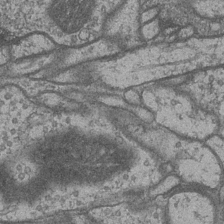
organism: Drosophila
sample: Optic medulla